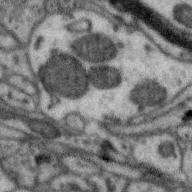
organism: Zebra finch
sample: Brain